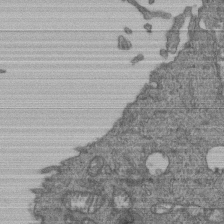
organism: Human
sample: Retinal organoid Rod and Cone cells